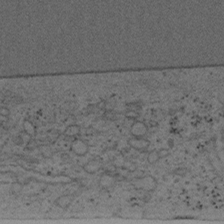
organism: Human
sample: HeLa cells